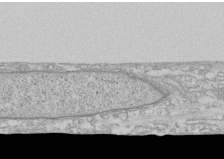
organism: Human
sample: CRL-1474